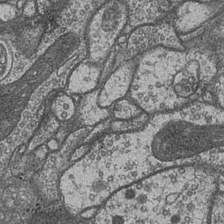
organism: Drosophila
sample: Optic medulla